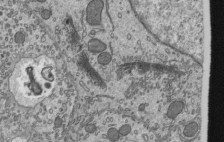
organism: Mouse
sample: Mouse epididymis efferent ductule cilia